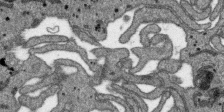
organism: Human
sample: Lung epithelial cells, uninfected (mock) control